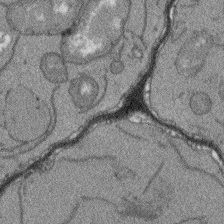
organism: Arabidopsis thaliana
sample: Root tip